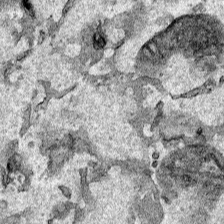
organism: Human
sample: Mitochondria in HCT116 cells